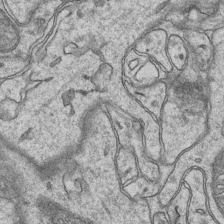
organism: Mouse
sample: CA1 Hippocampus